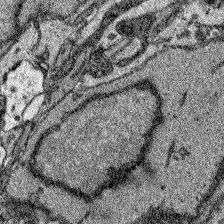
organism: Zebrafish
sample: Larval olfactory bulb